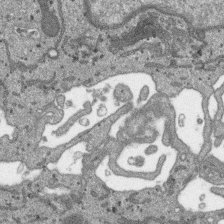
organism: Human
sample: Lung epithelial cells infected with SARS-CoV-2